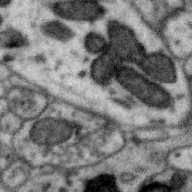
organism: Zebra finch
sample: Brain